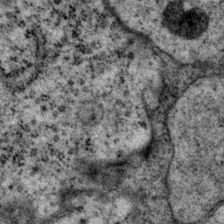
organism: P. pacificus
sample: Pharynx